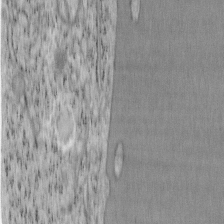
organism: Human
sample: HeLa cells